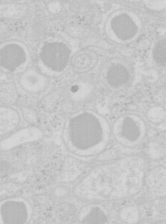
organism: Mouse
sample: Pancreas